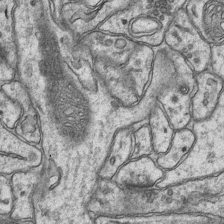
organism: Mouse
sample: CA1 Hippocampus